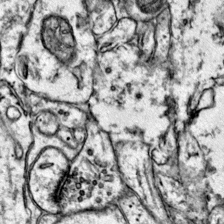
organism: Mouse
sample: Primary visual cortex